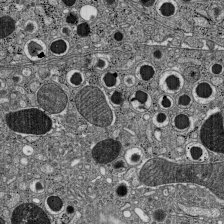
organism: C57BL Mouse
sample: Pancreatic islet